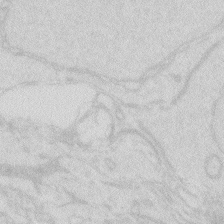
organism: Zebrafish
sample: Macrophage